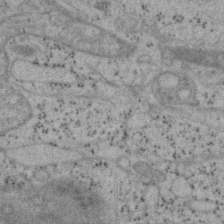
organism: Human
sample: HeLa cells